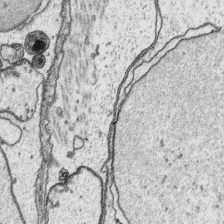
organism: Platynereis dumerilii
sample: Parapodia